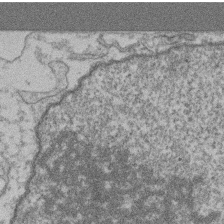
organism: Mouse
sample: T cell stromal cell synapse